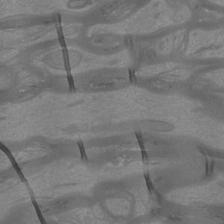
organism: Mouse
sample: Cortical neurons